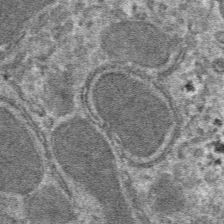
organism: Mouse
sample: Mouse hepatocytes